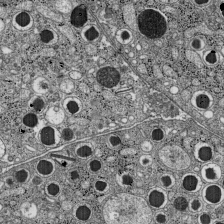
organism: C57BL Mouse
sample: Pancreatic islet